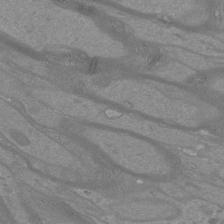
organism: Mouse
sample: Cortical neurons